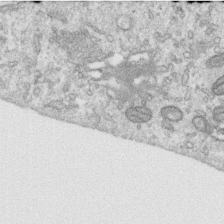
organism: Human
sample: Centriole in RPE cells